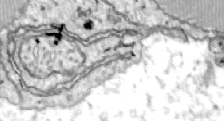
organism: Zebrafish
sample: Actinotrichia fibers